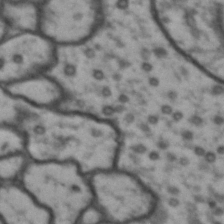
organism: Drosophila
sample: Brain